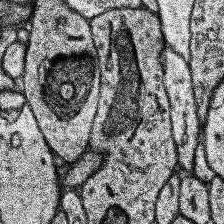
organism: Human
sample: Temporal Lobe